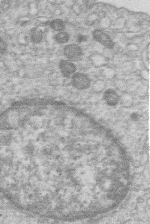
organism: Human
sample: Macrophage cells